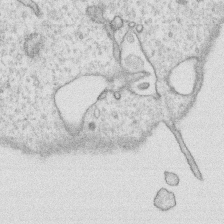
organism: Human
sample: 1205lu cells